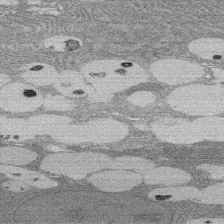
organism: Rat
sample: Salivary granule